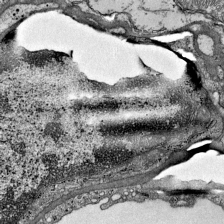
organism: Mouse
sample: Visual Cortex